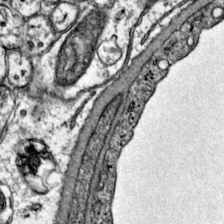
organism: Mouse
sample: Primary visual cortex